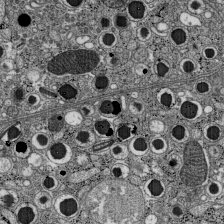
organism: C57BL Mouse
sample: Pancreatic islet